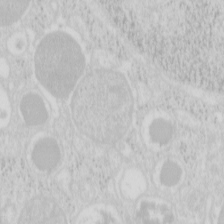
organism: Mouse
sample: Pancreas